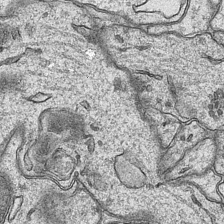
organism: Mouse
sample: CA1 Hippocampus